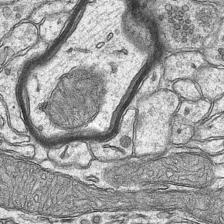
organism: Mouse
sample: CA1 Hippocampus